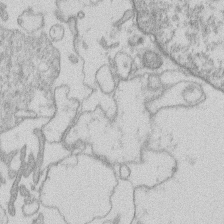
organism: Human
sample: Macrophage cells